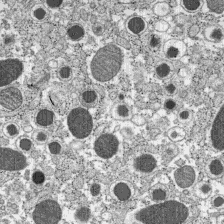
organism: C57BL Mouse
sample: Pancreatic islet